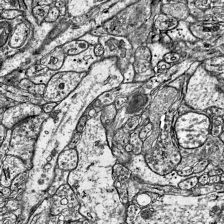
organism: Mouse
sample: Visual Cortex